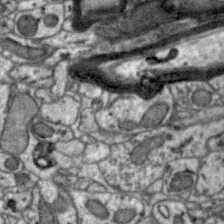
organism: Zebra finch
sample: Brain